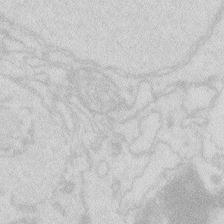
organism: Zebrafish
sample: Macrophage